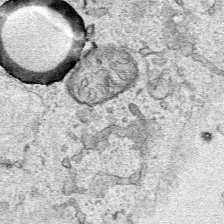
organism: Human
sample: Mitochondria in HCT116 cells